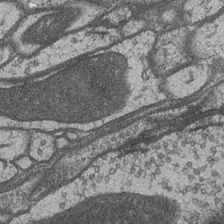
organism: Drosophila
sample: Optic medulla